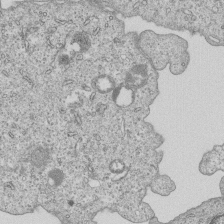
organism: Human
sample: MDA-MB-231 cells